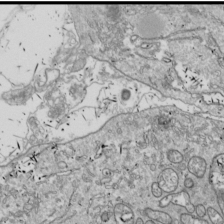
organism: Drosophila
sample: Cell division; meiosis; drosophila spermatocytes